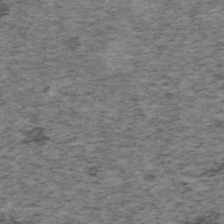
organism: Mouse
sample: OT-I killer T cells with ID8 ovarian cancer cells